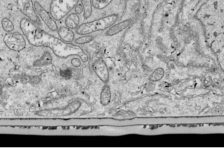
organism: Drosophila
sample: Cell division; meiosis; drosophila spermatocytes